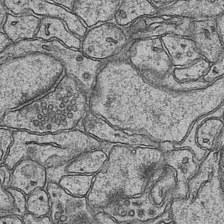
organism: Mouse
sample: CA1 Hippocampus